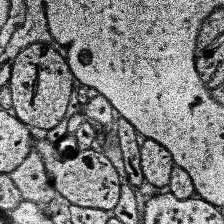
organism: Human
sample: Temporal Lobe